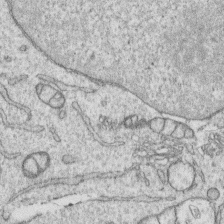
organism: Human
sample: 1205lu cells